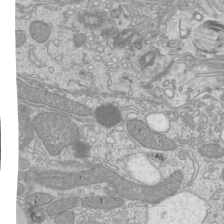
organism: Mouse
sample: Cilia; mouse epididymis